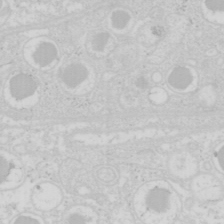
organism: Mouse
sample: Pancreas